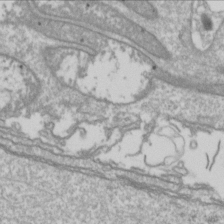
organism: Drosophila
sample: Cell division; meiosis; drosophila spermatocytes